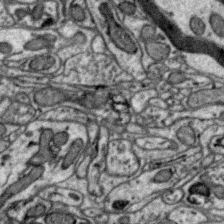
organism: Zebra finch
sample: Brain